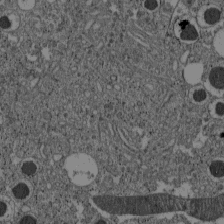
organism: C57BL Mouse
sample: Pancreatic islet